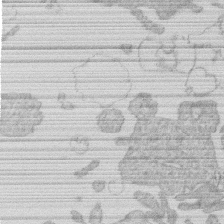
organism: Human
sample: Macrophage cells